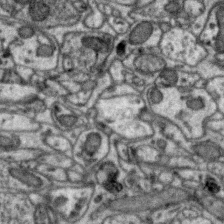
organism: Zebra finch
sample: Brain